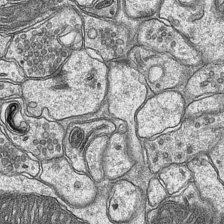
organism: Mouse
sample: CA1 Hippocampus